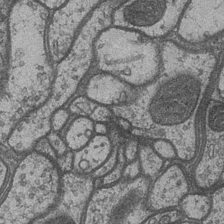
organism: Drosophila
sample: Optic medulla